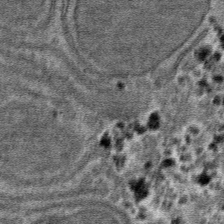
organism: Mouse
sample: Mouse hepatocytes